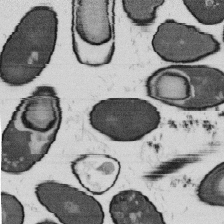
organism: B. subtilis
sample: Bacterial spore